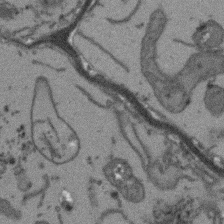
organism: Arabidopsis thaliana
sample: Root tip